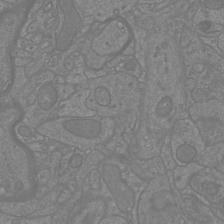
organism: Mouse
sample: Cortical neurons